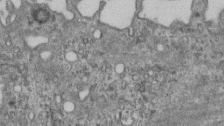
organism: Mouse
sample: Centriole in ependymal cells